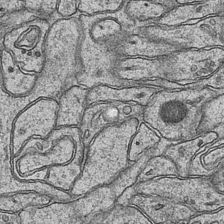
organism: Mouse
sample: CA1 Hippocampus